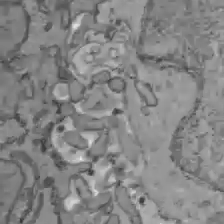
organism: C57BL Mouse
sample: Liver